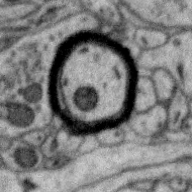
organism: Zebra finch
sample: Brain